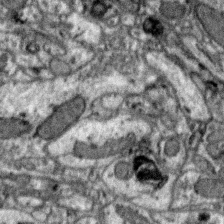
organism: Zebra finch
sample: Brain